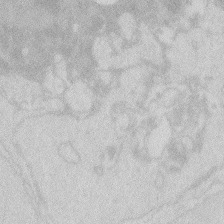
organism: Zebrafish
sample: Macrophage